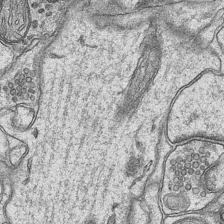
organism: Mouse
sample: CA1 Hippocampus